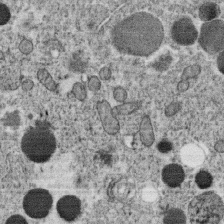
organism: C. elegans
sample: C. elegans oocyte; sperm cells